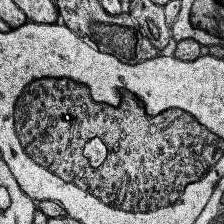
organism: Human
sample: Temporal Lobe